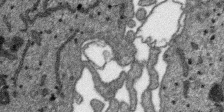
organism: Human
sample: Lung epithelial cells infected with SARS-CoV-2